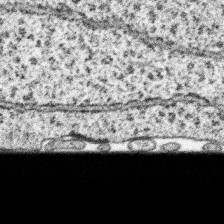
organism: Human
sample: HeLa cells